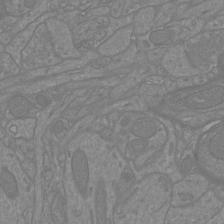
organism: Mouse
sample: Cortical neurons